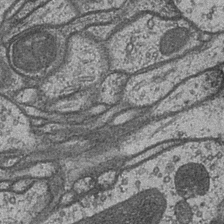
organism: Drosophila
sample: Optic medulla